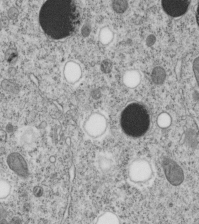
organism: C. elegans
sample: C. elegans embryo early stage